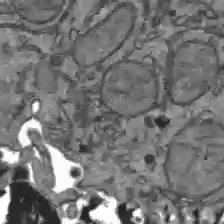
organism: C57BL Mouse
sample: Liver